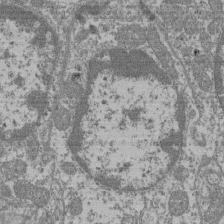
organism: Mouse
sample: Glomerulus